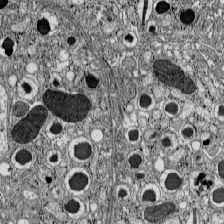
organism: C57BL Mouse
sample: Pancreatic islet